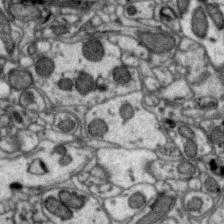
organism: Zebra finch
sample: Brain